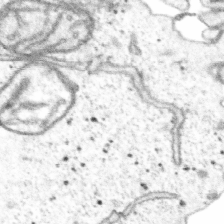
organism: Human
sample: HeLa cells